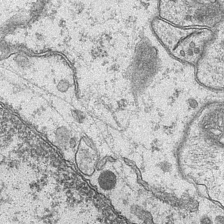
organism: Mouse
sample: CA1 Hippocampus